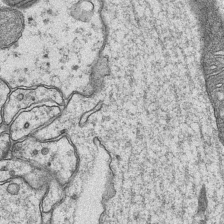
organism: Mouse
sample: CA1 Hippocampus